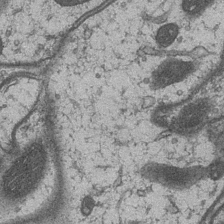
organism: Drosophila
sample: Optic medulla